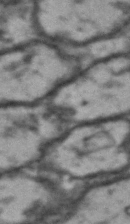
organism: Drosophila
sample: Brain